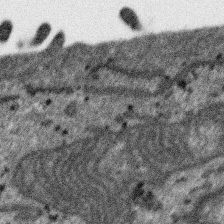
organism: Human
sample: Lung epithelial cells infected with SARS-CoV-2